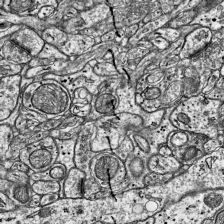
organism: Mouse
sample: Visual Cortex